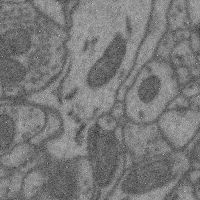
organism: Mouse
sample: Cerebral cortex